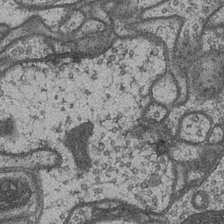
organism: Drosophila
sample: Optic medulla